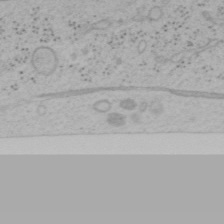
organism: Human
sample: HeLa cells